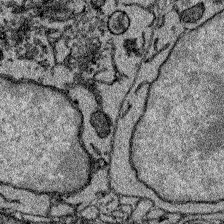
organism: Zebrafish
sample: Larval olfactory bulb